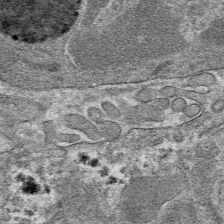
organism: Mouse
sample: Mouse hepatocytes